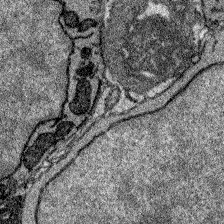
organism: Zebrafish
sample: Larval olfactory bulb